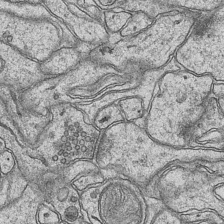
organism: Mouse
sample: CA1 Hippocampus